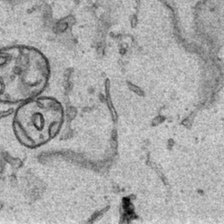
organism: Human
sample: Mitochondria in HCT116 cells